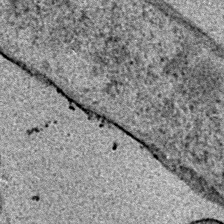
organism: E. coli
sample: E. Coli Bacteria